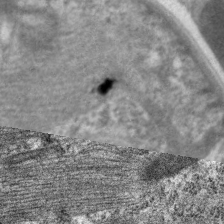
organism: C. elegans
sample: Pharynx